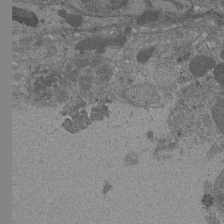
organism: Drosophila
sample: Antenna